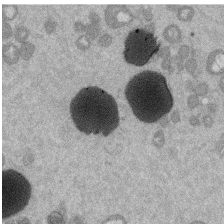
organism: Mouse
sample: Dividing mouse embryo 1 cell stage